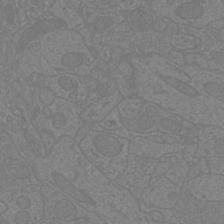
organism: Mouse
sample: Cortical neurons